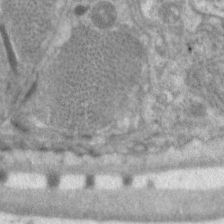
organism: C. elegans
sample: Pharynx